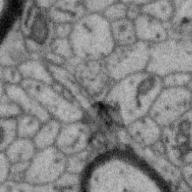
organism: Zebra finch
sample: Brain